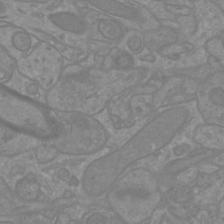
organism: Mouse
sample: Cortical neurons